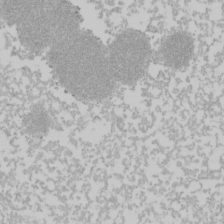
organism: Mouse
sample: Cancer cell death in ED-1 cells